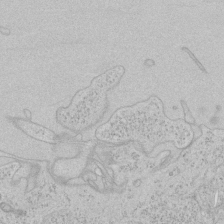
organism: Human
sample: Mitochondria in HCT116 cells